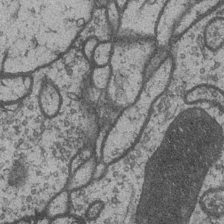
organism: Drosophila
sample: Optic medulla